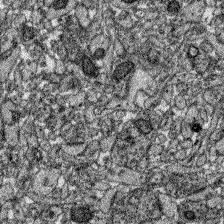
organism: Zebrafish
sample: Larval olfactory bulb